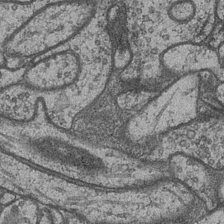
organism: Drosophila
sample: Optic medulla